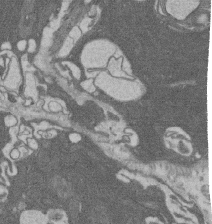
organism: Rat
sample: Salivary granule